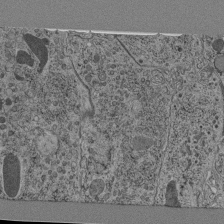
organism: C. elegans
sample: C. elegans pharynx